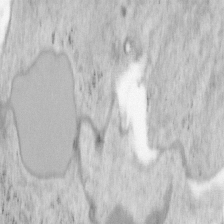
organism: Human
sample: HeLa cells